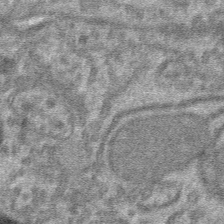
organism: Mouse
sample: Mouse hepatocytes